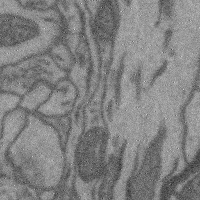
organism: Mouse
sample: Cerebral cortex